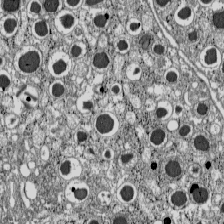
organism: C57BL Mouse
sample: Pancreatic islet